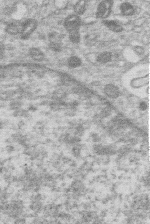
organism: Human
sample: Macrophage cells